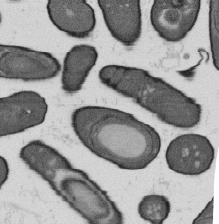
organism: B. subtilis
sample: Bacterial spore